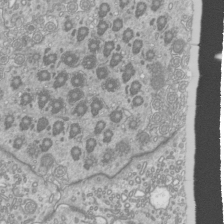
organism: Mouse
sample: Cilia; mouse epididymis